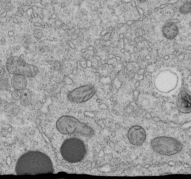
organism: C. elegans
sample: C. elegans embryo early stage